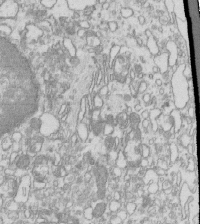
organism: Mouse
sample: Macrophages